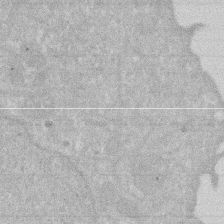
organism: Human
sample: HIV infected U937 cells